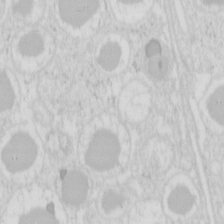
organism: Mouse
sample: Pancreas